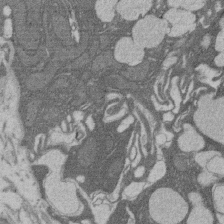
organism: Rat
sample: Salivary granule